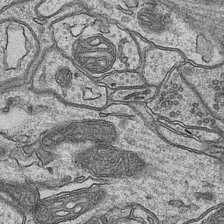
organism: Mouse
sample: CA1 Hippocampus